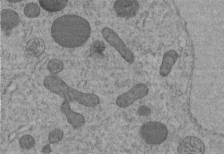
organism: C. elegans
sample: C. elegans embryo early stage